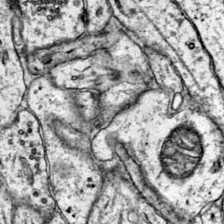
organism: Mouse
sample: Primary visual cortex